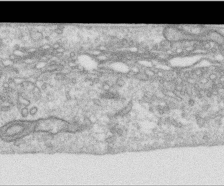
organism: Human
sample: Centriole in RPE cells